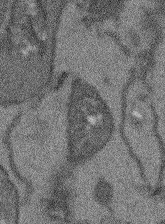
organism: Arabidopsis thaliana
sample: Root tip